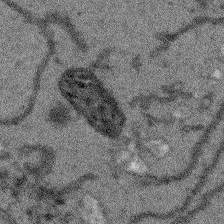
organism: Arabidopsis thaliana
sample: Root tip